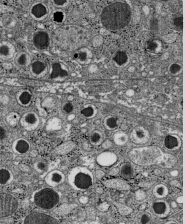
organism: C57BL Mouse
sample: Pancreatic islet